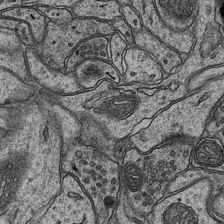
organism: Mouse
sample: CA1 Hippocampus